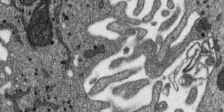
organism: Human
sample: Lung epithelial cells infected with SARS-CoV-2